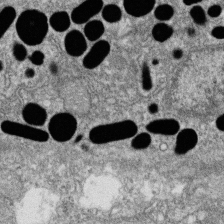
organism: Zebrafish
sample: Cilia; retinal pigment epithelium